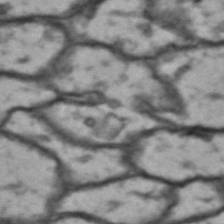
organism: Drosophila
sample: Brain